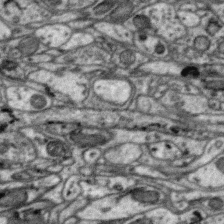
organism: Zebra finch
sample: Brain